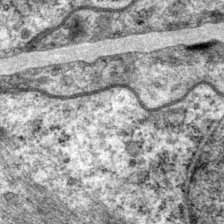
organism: P. pacificus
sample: Pharynx